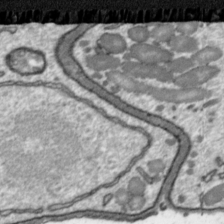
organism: Toxoplasma gondii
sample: Parasites in a vacuole inside a host cell